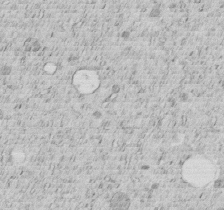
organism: C. elegans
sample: C. elegans embryo early stage